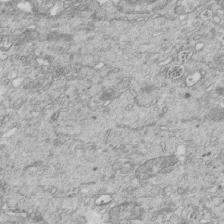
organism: Mouse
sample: Multiciliated cells